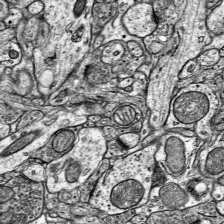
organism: Mouse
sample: Visual Cortex